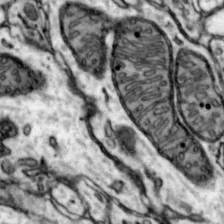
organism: Mouse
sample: Nucleus accumbens